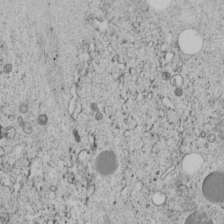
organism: C. elegans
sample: C. elegans embryo early stage